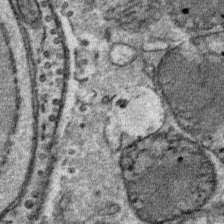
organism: Mouse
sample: Mouse Salivary gland